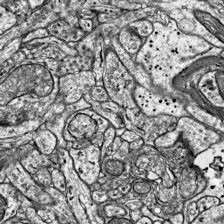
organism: Mouse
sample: Visual Cortex